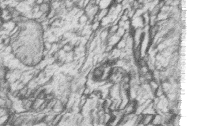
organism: Zebrafish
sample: synaptic ribbons in rod cells and cone cells